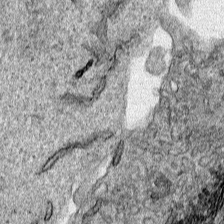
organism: Human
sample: Mitochondria in HCT116 cells